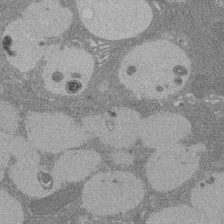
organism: Rat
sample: Salivary granule